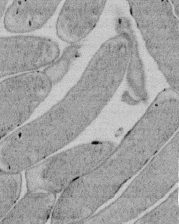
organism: E. coli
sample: Bacterial nucleoid